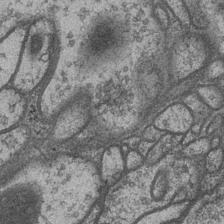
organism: Drosophila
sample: Optic medulla